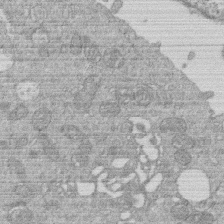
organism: Human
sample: Macrophage cells